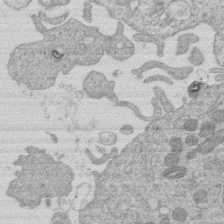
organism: Human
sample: Macrophage cells